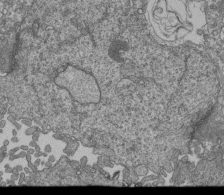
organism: Human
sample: Retinal organoid Rod and Cone cells